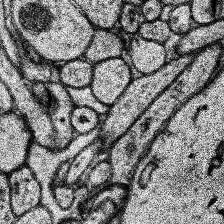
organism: Human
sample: Temporal Lobe